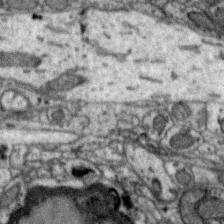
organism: Zebra finch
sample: Brain